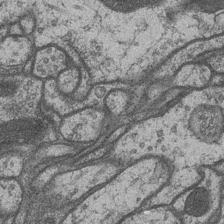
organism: Drosophila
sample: Optic medulla